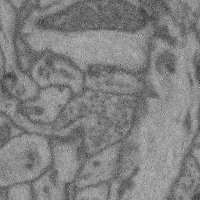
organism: Mouse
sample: Cerebral cortex